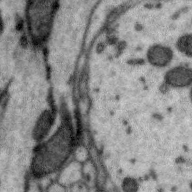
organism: Zebra finch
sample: Brain